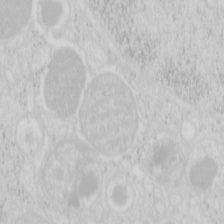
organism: Mouse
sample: Pancreas